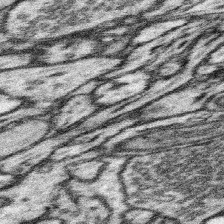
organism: Mouse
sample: Somatosensory cortex neuropil